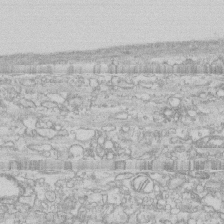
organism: Human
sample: CRL-1474